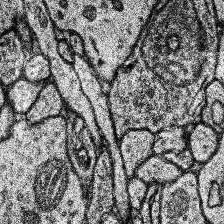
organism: Human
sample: Temporal Lobe